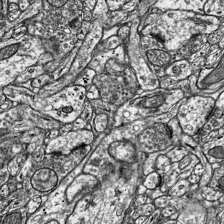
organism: Mouse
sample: Visual Cortex